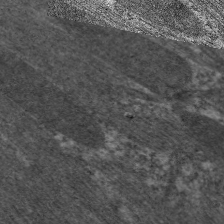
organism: C. elegans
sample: Pharynx